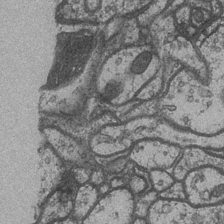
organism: Drosophila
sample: Optic medulla